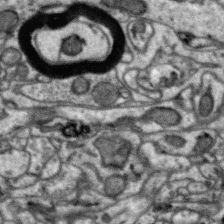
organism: Zebra finch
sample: Brain